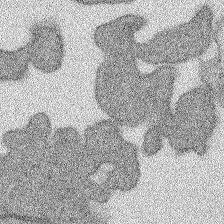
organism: Human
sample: HeLa cells